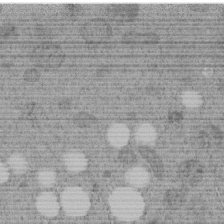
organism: C. elegans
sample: C. elegans embryo early stage